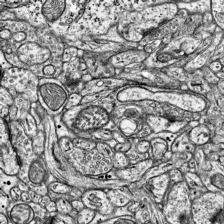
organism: Mouse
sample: Visual Cortex